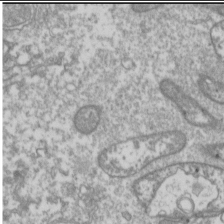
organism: Drosophila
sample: Cell division; meiosis; drosophila spermatocytes